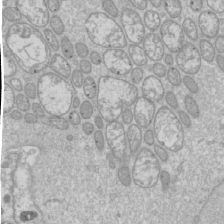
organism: Drosophila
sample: Cell division; meiosis; drosophila spermatocytes